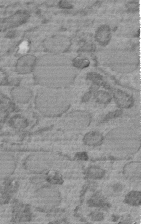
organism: C. elegans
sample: C. elegans embryo early stage